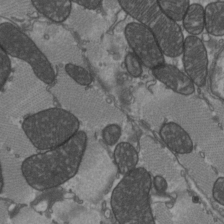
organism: C57BL Mouse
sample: Heart